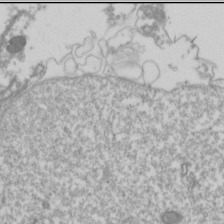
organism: Drosophila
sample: Cell division; meiosis; drosophila spermatocytes